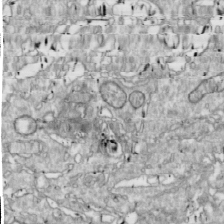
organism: Drosophila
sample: Cell division; meiosis; drosophila spermatocytes